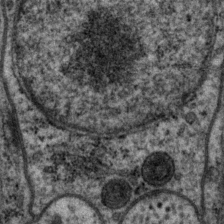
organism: P. pacificus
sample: Pharynx